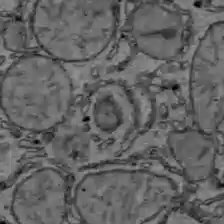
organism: C57BL Mouse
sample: Liver